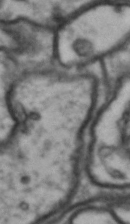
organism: Drosophila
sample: Brain